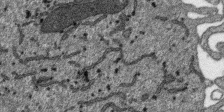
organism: Human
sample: Lung epithelial cells infected with SARS-CoV-2